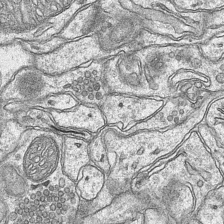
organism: Mouse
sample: CA1 Hippocampus